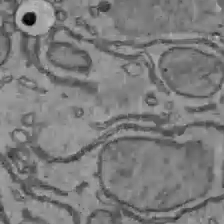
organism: C57BL Mouse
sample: Liver